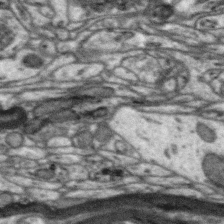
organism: Zebra finch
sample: Brain